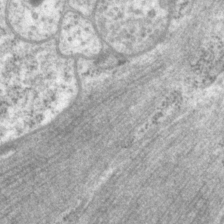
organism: P. pacificus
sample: Pharynx